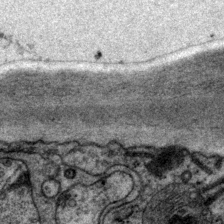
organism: P. pacificus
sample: Pharynx